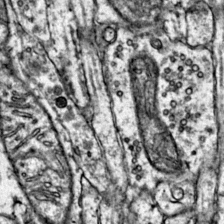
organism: Mouse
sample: Primary visual cortex